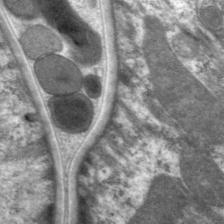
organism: C. elegans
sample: Pharynx